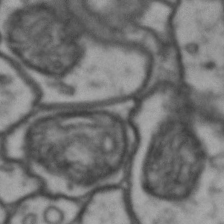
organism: Drosophila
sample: Brain